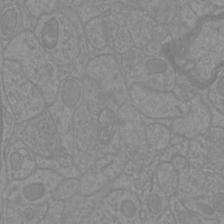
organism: Mouse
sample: Cortical neurons